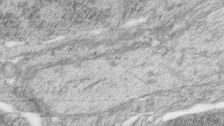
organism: Zebrafish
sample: synaptic ribbons in rod cells and cone cells